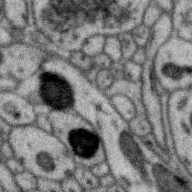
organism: Zebra finch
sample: Brain